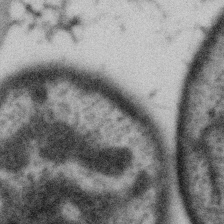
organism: Gemmata obscuriglobus